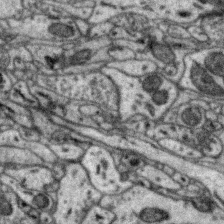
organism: Zebra finch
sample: Brain